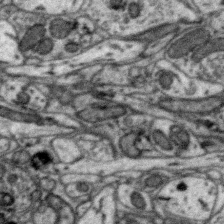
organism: Zebra finch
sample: Brain